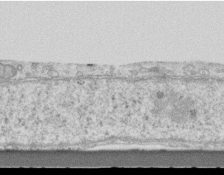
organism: Mouse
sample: Centriole in ependymal cells